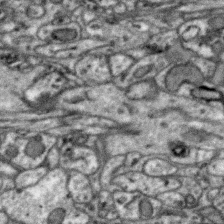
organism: Zebra finch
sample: Brain